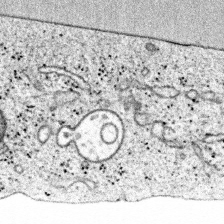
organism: Human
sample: HeLa cells